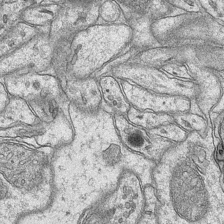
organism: Mouse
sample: CA1 Hippocampus